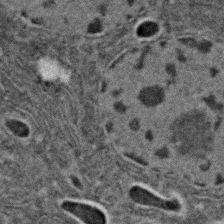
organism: C. elegans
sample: C. elegans embryo